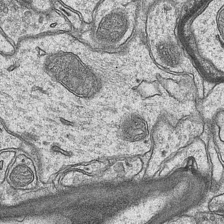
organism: Mouse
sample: CA1 Hippocampus